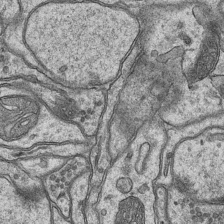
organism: Mouse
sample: CA1 Hippocampus